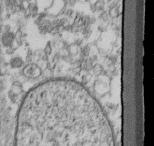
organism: Mouse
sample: Cilia; retinal pigment epithelium